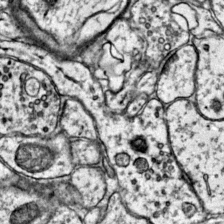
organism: Mouse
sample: Primary visual cortex